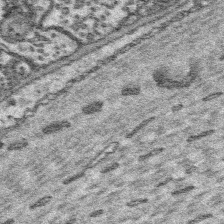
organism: Platynereis dumerilii